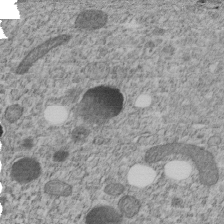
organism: C. elegans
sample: C. elegans embryo early stage